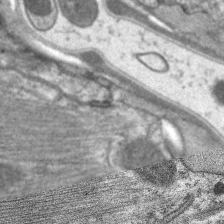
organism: C. elegans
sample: Pharynx